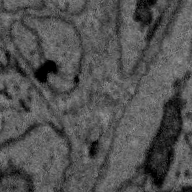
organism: Zebra finch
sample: Brain